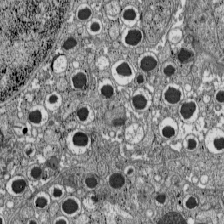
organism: C57BL Mouse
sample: Pancreatic islet